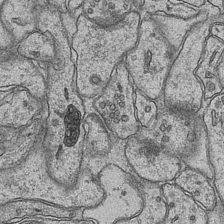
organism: Mouse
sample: CA1 Hippocampus